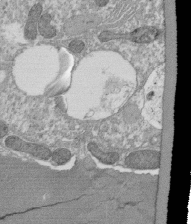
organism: Tetrahymena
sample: Cilia in tetrahymena